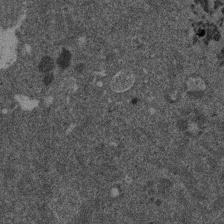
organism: Mouse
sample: Dividing mouse embryo 1 cell stage